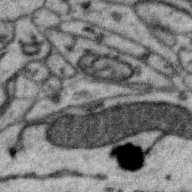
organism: Zebra finch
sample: Brain